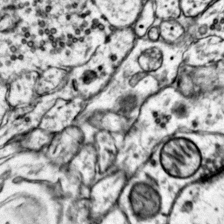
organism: Mouse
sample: Primary visual cortex